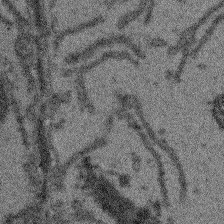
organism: Arabidopsis thaliana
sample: Root tip